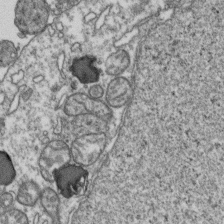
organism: Human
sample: Activated Jurkat CD4+ T cells